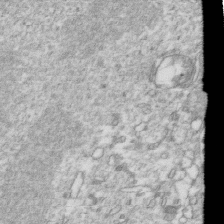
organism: Mouse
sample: Activated OT-1 CD8+ T cells